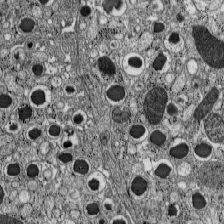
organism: C57BL Mouse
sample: Pancreatic islet